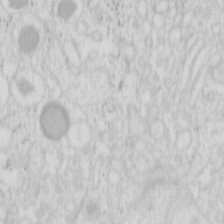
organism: Mouse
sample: Pancreas